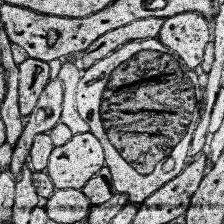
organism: Human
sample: Temporal Lobe